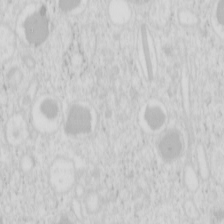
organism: Mouse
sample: Pancreas